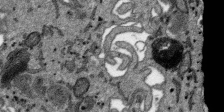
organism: Human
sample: Lung epithelial cells, uninfected (mock) control